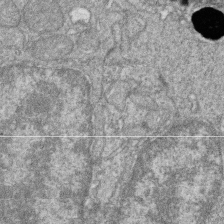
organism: Zebrafish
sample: Cilia; retinal pigment epithelium